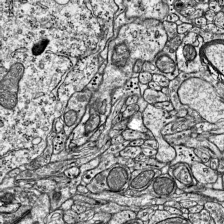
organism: Mouse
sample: Visual Cortex